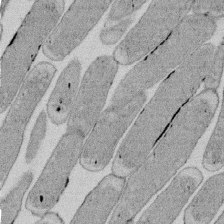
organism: E. coli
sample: Bacterial nucleoid